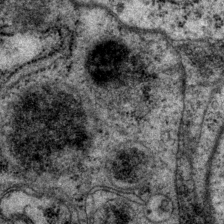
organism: P. pacificus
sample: Pharynx